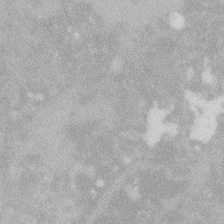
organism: Zebrafish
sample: Macrophage